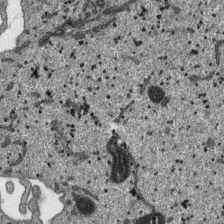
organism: Human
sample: Lung epithelial cells infected with SARS-CoV-2